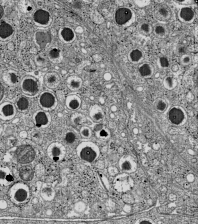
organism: C57BL Mouse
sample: Pancreatic islet